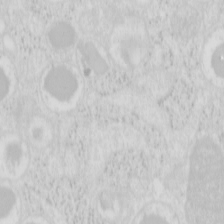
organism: Mouse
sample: Pancreas